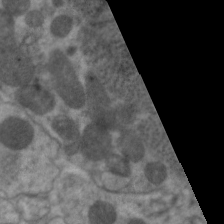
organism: C. elegans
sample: Pharynx